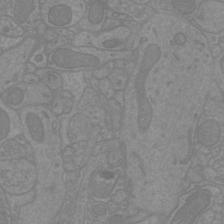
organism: Mouse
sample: Cortical neurons